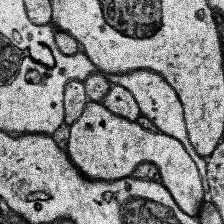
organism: Human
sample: Temporal Lobe